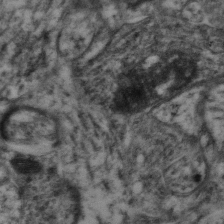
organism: Mouse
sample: Neocortex